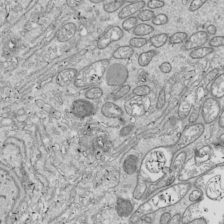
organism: Drosophila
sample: Cell division; meiosis; drosophila spermatocytes